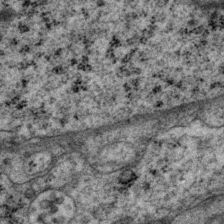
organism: P. pacificus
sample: Pharynx